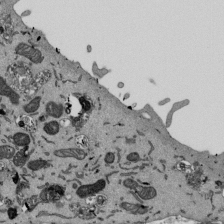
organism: Mouse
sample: ED-1 cell nuclei; centrioles